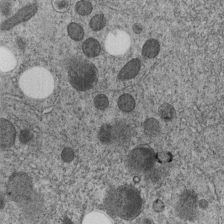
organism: C. elegans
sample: C. elegans embryo early stage